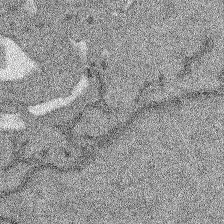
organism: Human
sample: HeLa cells